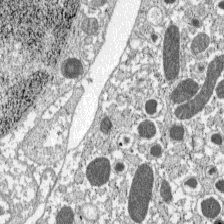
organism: C57BL Mouse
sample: Pancreatic islet